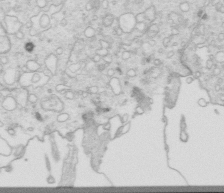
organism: Mouse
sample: Multiciliated cells